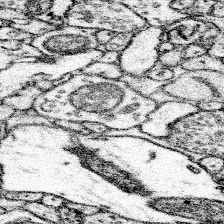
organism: Mouse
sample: Somatosensory cortex neuropil